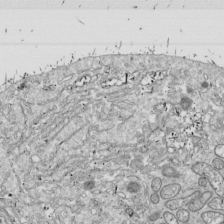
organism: Drosophila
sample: Cell division; meiosis; drosophila spermatocytes